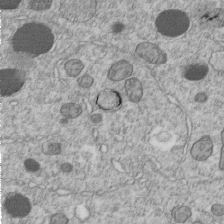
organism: C. elegans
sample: C. elegans embryo early stage